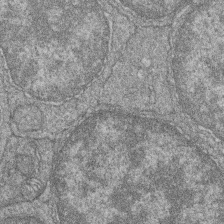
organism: Zebrafish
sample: Cilia; retinal pigment epithelium